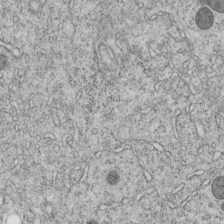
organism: C. elegans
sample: C. elegans embryo early stage